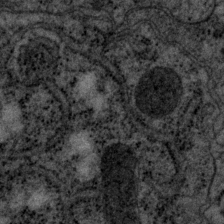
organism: P. pacificus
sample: Pharynx